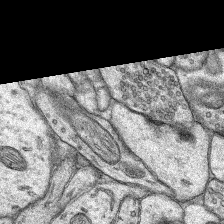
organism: Rat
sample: Hippocampus